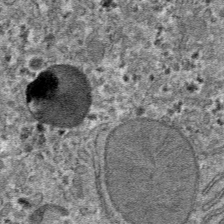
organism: Mouse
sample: Mouse hepatocytes